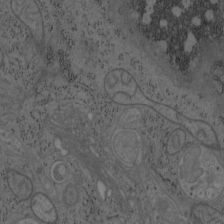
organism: Mouse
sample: OT-I killer T cells with ID8 ovarian cancer cells